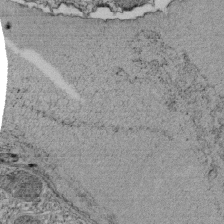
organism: Tetrahymena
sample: Cilia in tetrahymena